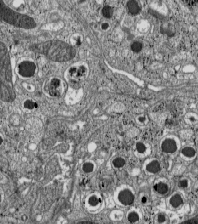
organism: C57BL Mouse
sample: Pancreatic islet